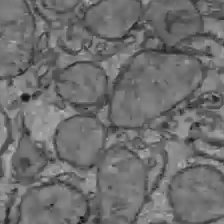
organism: C57BL Mouse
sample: Liver